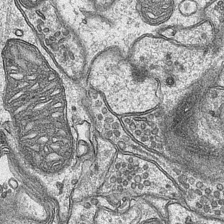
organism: Mouse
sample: CA1 Hippocampus